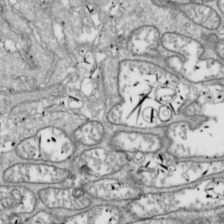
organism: Drosophila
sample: Cell division; meiosis; drosophila spermatocytes